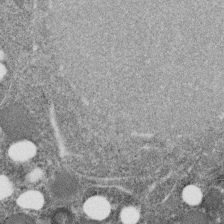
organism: C. elegans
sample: C. elegans embryo early stage